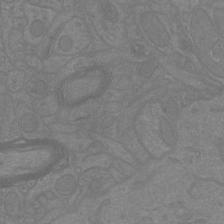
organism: Mouse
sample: Cortical neurons